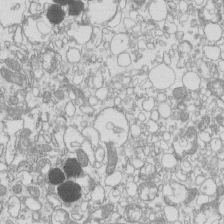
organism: Mouse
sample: Macrophages